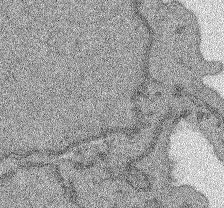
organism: Human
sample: HeLa cells